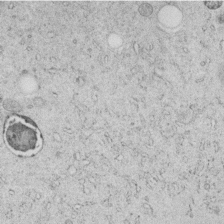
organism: C. elegans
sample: C. elegans embryo early stage